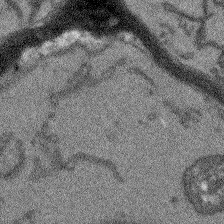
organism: Arabidopsis thaliana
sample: Root tip